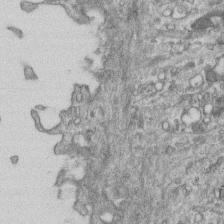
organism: Mouse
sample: Centriole in ependymal cells